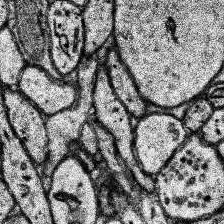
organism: Human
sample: Temporal Lobe